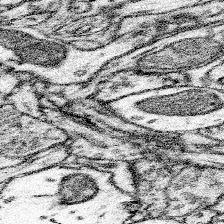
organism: Mouse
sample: Somatosensory cortex neuropil